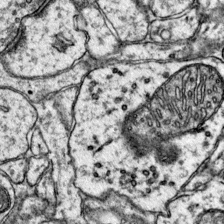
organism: Mouse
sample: Primary visual cortex